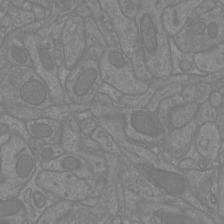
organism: Mouse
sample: Cortical neurons